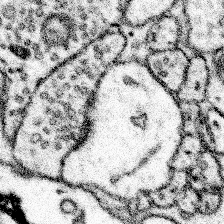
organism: Mouse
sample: Somatosensory cortex neuropil